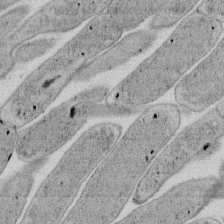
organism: E. coli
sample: Bacterial nucleoid